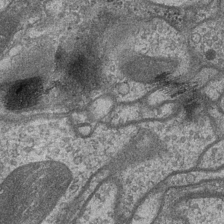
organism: Drosophila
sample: Optic medulla